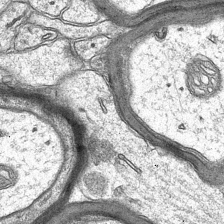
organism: Mouse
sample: CA1 Hippocampus